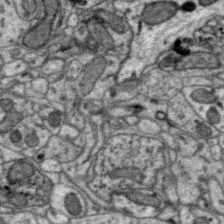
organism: Zebra finch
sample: Brain